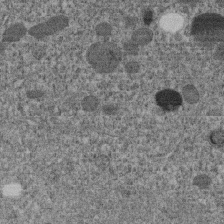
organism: C. elegans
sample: C. elegans embryo early stage